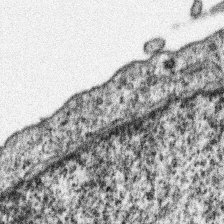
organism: Human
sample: HeLa cells